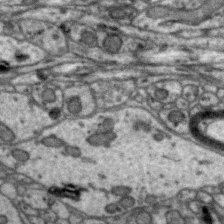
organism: Zebra finch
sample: Brain